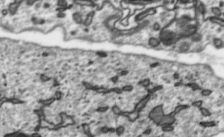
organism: Toxoplasma gondii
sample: Parasites in a vacuole inside a host cell